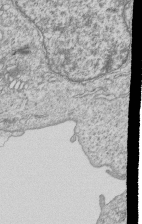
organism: Human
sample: MDA-MB-231 cells